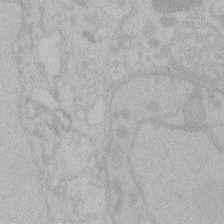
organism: Zebrafish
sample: Macrophage infected with Toxoplasma gondii